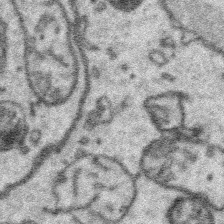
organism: Platynereis dumerilii